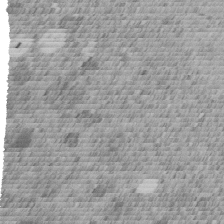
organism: C. elegans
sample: C. elegans embryo early stage